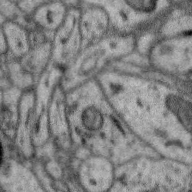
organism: Zebra finch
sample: Brain